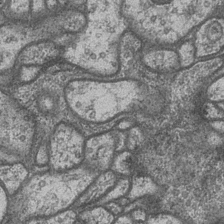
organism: Drosophila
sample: Optic medulla